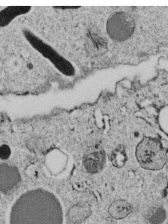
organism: C. elegans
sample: C. elegans embryo early stage